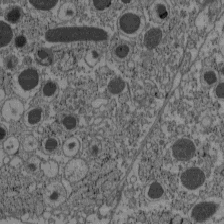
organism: C57BL Mouse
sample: Pancreatic islet